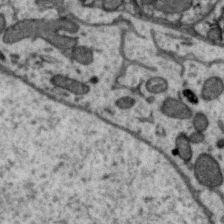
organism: Zebra finch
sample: Brain